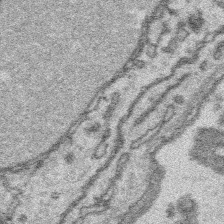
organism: Platynereis dumerilii